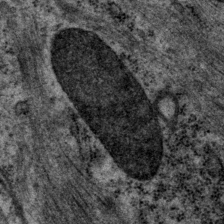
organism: P. pacificus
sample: Pharynx